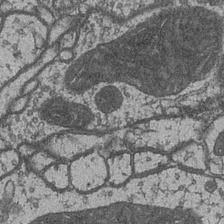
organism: Drosophila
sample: Optic medulla